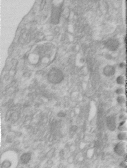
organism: Human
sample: Centriole in RPE cells